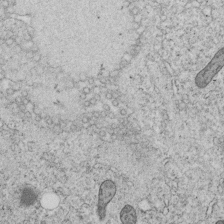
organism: C. elegans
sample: C. elegans embryo early stage